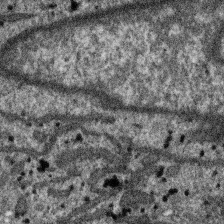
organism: Human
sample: Lung epithelial cells infected with SARS-CoV-2